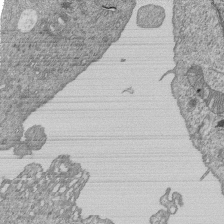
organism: Human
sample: MDA-MB-231 cells